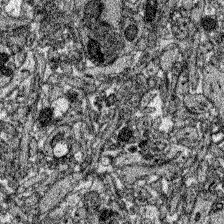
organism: Zebrafish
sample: Larval olfactory bulb